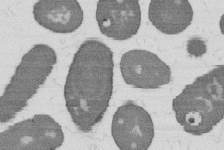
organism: B. subtilis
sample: Bacterial spore